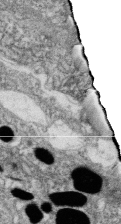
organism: Zebrafish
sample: Cilia; retinal pigment epithelium